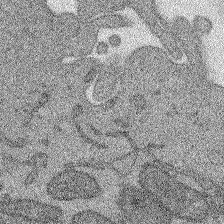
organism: Human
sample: HeLa cells